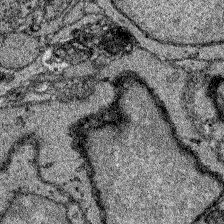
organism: Zebrafish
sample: Larval olfactory bulb